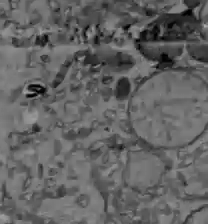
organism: C57BL Mouse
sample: Liver